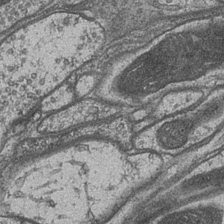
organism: Drosophila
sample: Optic medulla